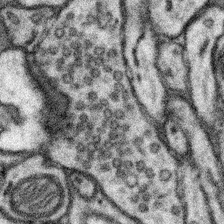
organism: Mouse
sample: Somatosensory cortex neuropil